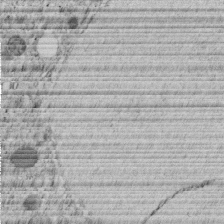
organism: C. elegans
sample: C. elegans embryo early stage